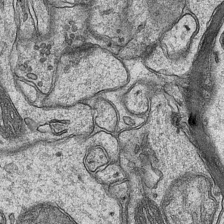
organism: Mouse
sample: CA1 Hippocampus